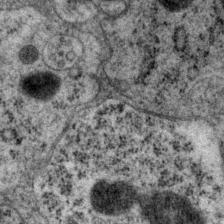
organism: P. pacificus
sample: Pharynx